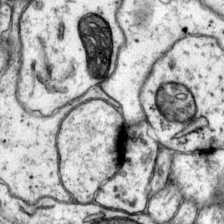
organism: Mouse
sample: Primary visual cortex